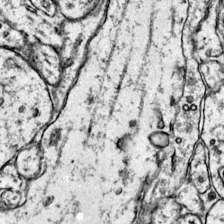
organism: Mouse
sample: Primary visual cortex